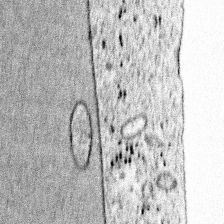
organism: Human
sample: HeLa cells